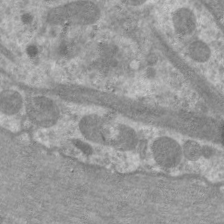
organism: C. elegans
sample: Pharynx